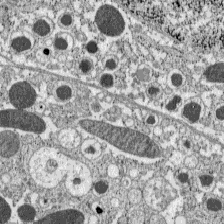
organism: C57BL Mouse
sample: Pancreatic islet